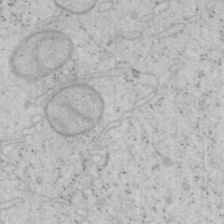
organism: Human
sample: HeLa cells